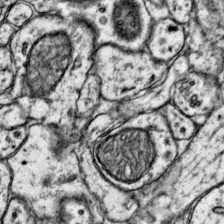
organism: Mouse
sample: Primary visual cortex